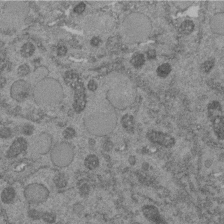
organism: C. elegans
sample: C. elegans embryo early stage